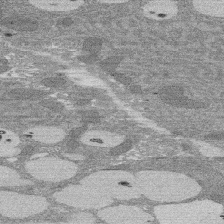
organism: Rat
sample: Salivary granule